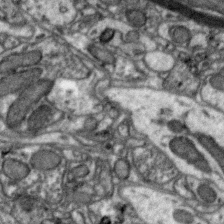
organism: Zebra finch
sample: Brain